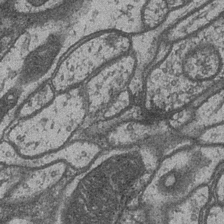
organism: Drosophila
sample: Optic medulla